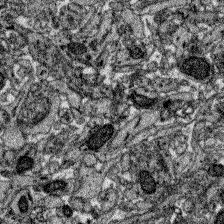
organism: Zebrafish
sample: Larval olfactory bulb